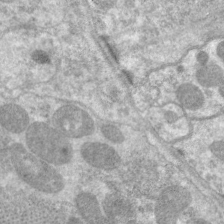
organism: C. elegans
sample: Pharynx